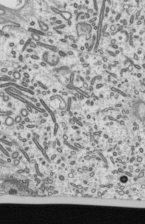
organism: Mouse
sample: Mouse epididymis efferent ductule cilia